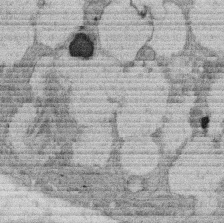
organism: Rat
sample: Salivary granule